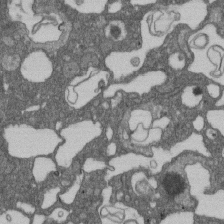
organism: Drosophila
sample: Nephrocyte